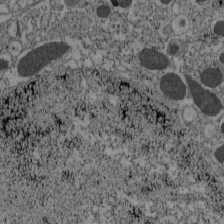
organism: C57BL Mouse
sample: Pancreatic islet